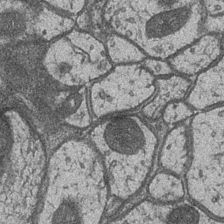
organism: Drosophila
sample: Optic medulla